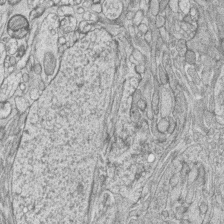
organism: Zebrafish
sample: synaptic ribbons in rod cells and cone cells